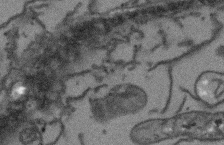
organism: Arabidopsis thaliana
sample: Root tip